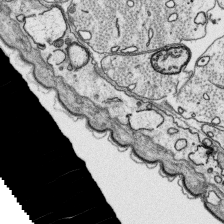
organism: Platynereis dumerilii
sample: Parapodia